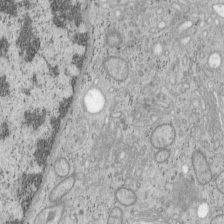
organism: Mouse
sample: OT-I killer T cells with ID8 ovarian cancer cells